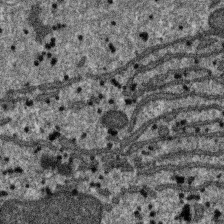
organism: Human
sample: Lung epithelial cells infected with SARS-CoV-2